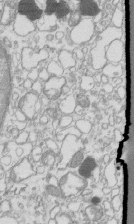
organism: Mouse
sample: Macrophages